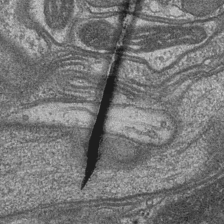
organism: Drosophila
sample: Optic medulla